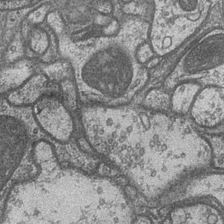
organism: Drosophila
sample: Optic medulla